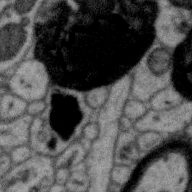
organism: Zebra finch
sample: Brain